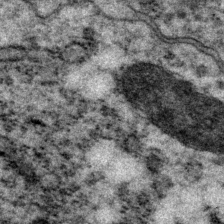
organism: P. pacificus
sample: Pharynx